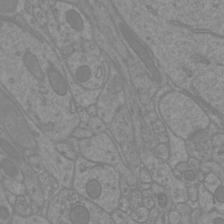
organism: Mouse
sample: Cortical neurons